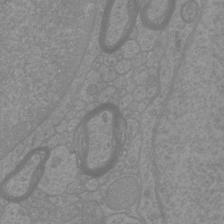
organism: Mouse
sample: Cortical neurons